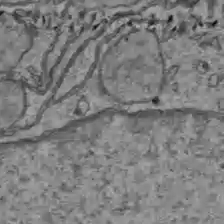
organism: C57BL Mouse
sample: Liver